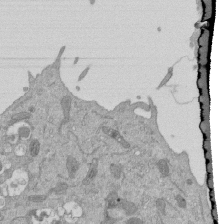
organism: Mouse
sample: ED-1 cell nuclei; centrioles